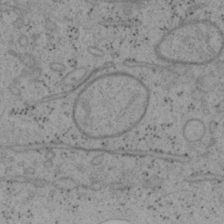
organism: Human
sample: HeLa cells